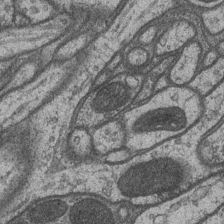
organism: Drosophila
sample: Optic medulla